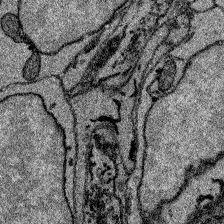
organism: Zebrafish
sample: Larval olfactory bulb